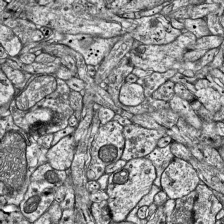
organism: Mouse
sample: Visual Cortex